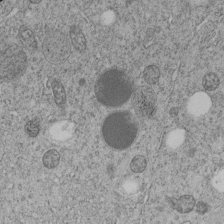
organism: C. elegans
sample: C. elegans embryo early stage